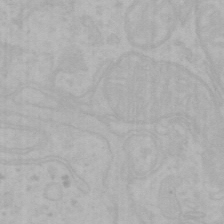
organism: Mouse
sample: Choroid plexus